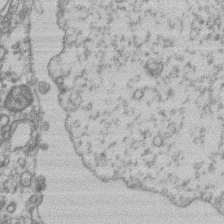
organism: Mouse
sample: T cell stromal cell synapse